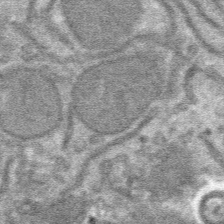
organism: Mouse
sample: Mouse hepatocytes